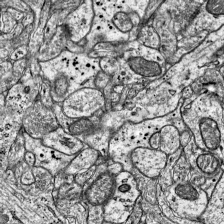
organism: Mouse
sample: Visual Cortex